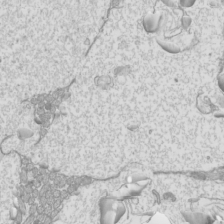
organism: Mouse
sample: Cilia; mouse epididymis